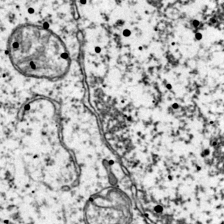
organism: Mouse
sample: Primary visual cortex